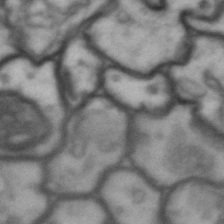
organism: Drosophila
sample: Brain